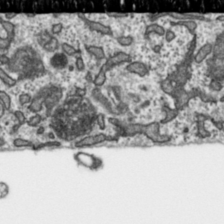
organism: Toxoplasma gondii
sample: Parasites in a vacuole inside a host cell